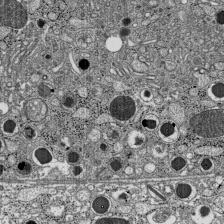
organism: C57BL Mouse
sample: Pancreatic islet